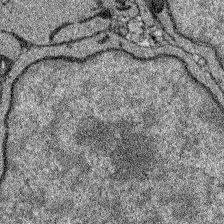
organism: Zebrafish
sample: Larval olfactory bulb